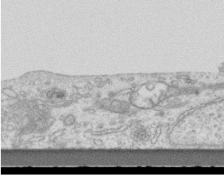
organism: Mouse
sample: Centriole in ependymal cells